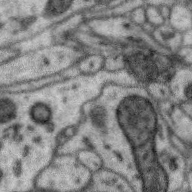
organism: Zebra finch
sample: Brain